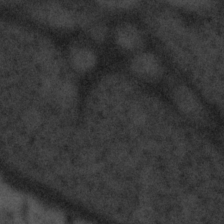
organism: Tuwongella immobilis